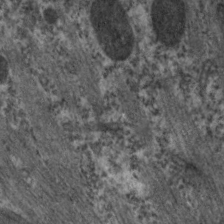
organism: C. elegans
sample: Pharynx